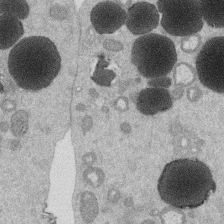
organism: Mouse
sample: Dividing mouse embryo 1 cell stage